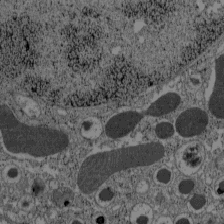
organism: C57BL Mouse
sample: Pancreatic islet